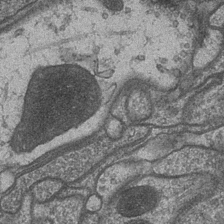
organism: Drosophila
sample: Optic medulla